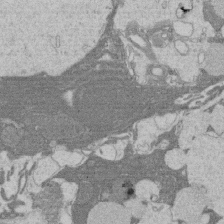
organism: Rat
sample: Salivary granule